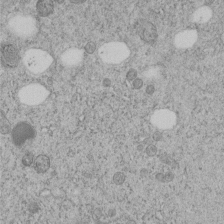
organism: C. elegans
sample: C. elegans embryo early stage